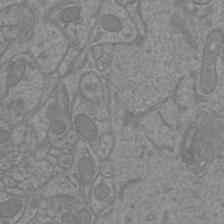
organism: Mouse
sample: Cortical neurons